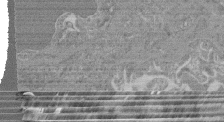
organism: Mouse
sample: Glomerulus